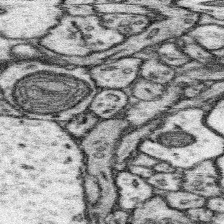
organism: Mouse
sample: Somatosensory cortex neuropil